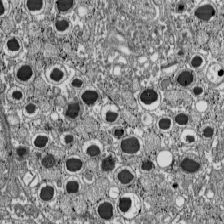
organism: C57BL Mouse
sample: Pancreatic islet